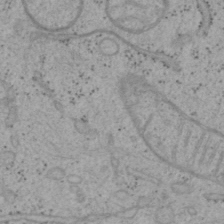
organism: Human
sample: HeLa cells